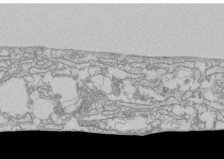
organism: Human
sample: CRL-1474